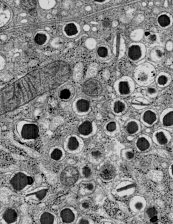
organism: C57BL Mouse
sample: Pancreatic islet